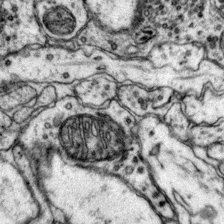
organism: Mouse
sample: Primary visual cortex